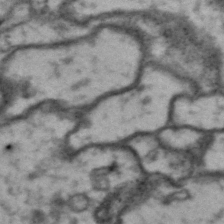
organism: Drosophila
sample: Brain